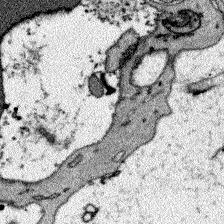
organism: Zebrafish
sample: Larval olfactory bulb